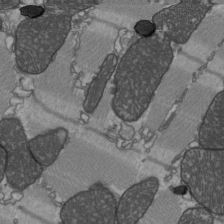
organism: C57BL Mouse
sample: Heart